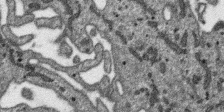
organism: Human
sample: Lung epithelial cells infected with SARS-CoV-2